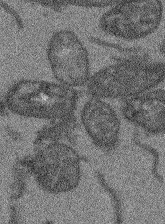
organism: Arabidopsis thaliana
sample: Root tip